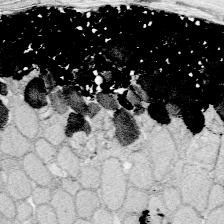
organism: Zebrafish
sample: Whole-Brain